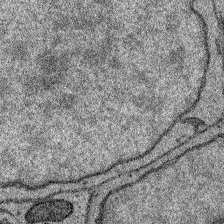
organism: Zebrafish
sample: Larval olfactory bulb